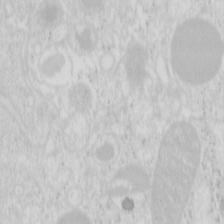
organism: Mouse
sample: Pancreas